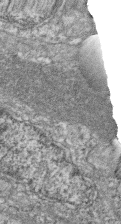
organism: Zebrafish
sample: Cilia; retinal pigment epithelium